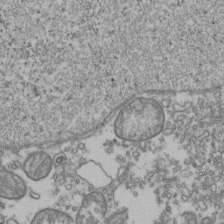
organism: Human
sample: Activated Jurkat CD4+ T cells